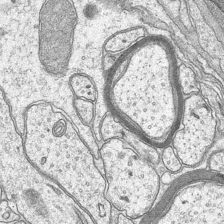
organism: Mouse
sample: CA1 Hippocampus